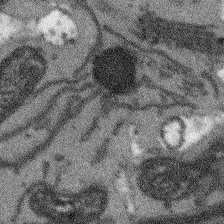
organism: Arabidopsis thaliana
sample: Root tip